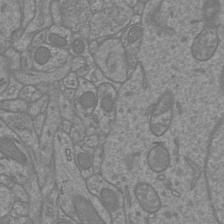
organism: Mouse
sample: Cortical neurons